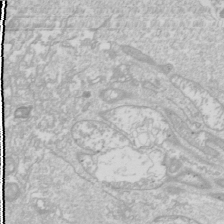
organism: Drosophila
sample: Cell division; meiosis; drosophila spermatocytes